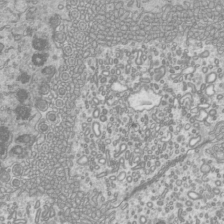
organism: Mouse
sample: Cilia; mouse epididymis